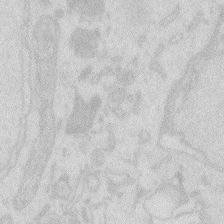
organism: Zebrafish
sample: Macrophage